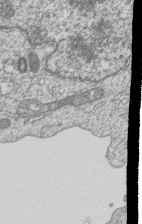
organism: Human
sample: MDA-MB-231 cells